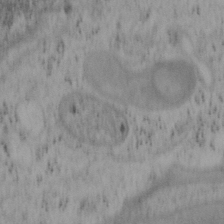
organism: Mouse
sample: OT-I killer T cells with ID8 ovarian cancer cells